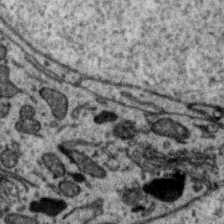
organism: Zebra finch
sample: Brain